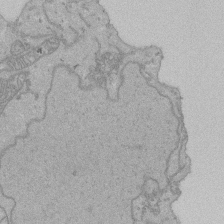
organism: Human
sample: Activated Jurkat CD4+ T cells